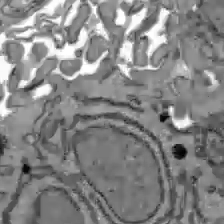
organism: C57BL Mouse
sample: Liver